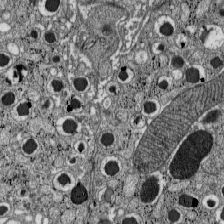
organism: C57BL Mouse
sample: Pancreatic islet